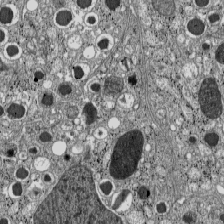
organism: C57BL Mouse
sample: Pancreatic islet